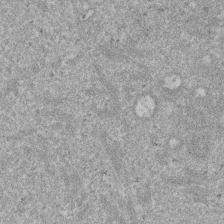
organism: Mouse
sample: Dividing mouse embryo 1 cell stage